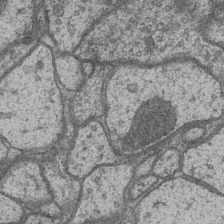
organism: Drosophila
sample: Optic medulla